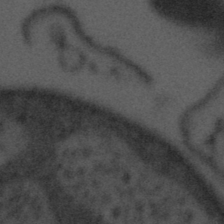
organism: Tuwongella immobilis